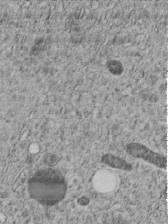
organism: C. elegans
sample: C. elegans embryo early stage